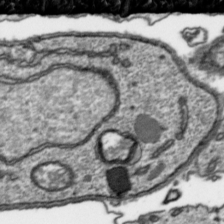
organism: Toxoplasma gondii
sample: Parasites in a vacuole inside a host cell